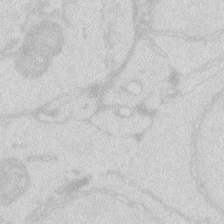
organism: Zebrafish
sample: Macrophage